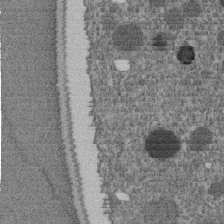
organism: C. elegans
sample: C. elegans embryo early stage